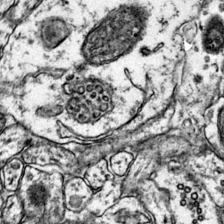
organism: Mouse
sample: Primary visual cortex